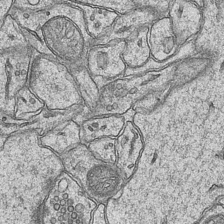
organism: Mouse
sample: CA1 Hippocampus